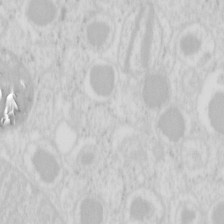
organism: Mouse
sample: Pancreas